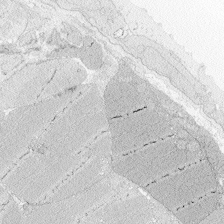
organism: Zebrafish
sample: Whole-Brain